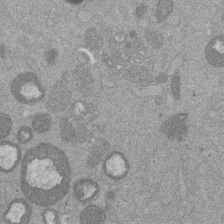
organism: Mouse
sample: Dividing mouse embryo 1 cell stage